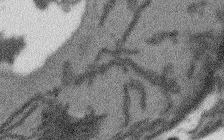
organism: Arabidopsis thaliana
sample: Root tip